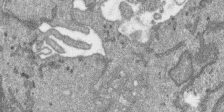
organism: Human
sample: Lung epithelial cells infected with SARS-CoV-2